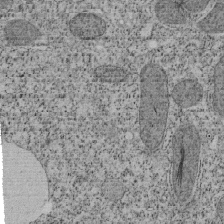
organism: Tetrahymena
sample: Cilia in tetrahymena